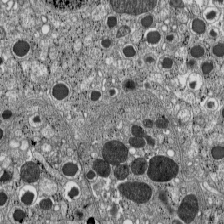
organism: C57BL Mouse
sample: Pancreatic islet